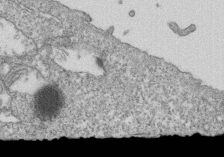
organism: Human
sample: HeLa cell HIV synapse